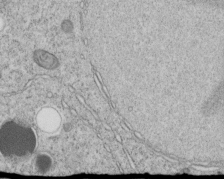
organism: C. elegans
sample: C. elegans embryo early stage